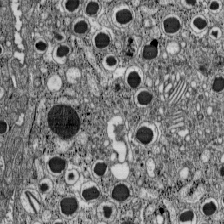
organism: C57BL Mouse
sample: Pancreatic islet